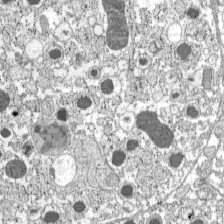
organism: C57BL Mouse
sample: Pancreatic islet